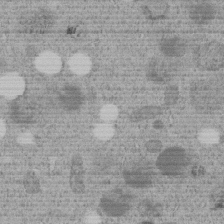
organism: C. elegans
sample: C. elegans embryo early stage